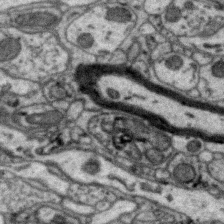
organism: Zebra finch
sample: Brain